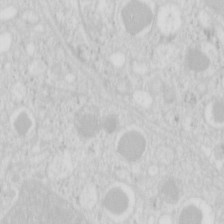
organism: Mouse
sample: Pancreas